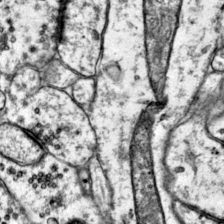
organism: Mouse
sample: Primary visual cortex